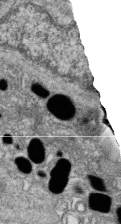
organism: Zebrafish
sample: Cilia; retinal pigment epithelium